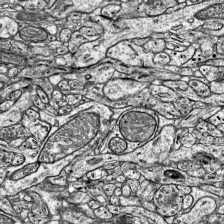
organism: Mouse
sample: Visual Cortex